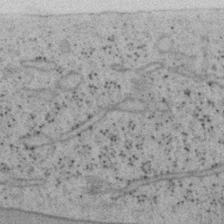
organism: Human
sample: HeLa cells